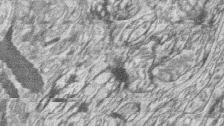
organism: Zebrafish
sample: synaptic ribbons in rod cells and cone cells